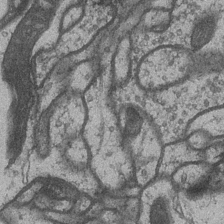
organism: Drosophila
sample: Optic medulla